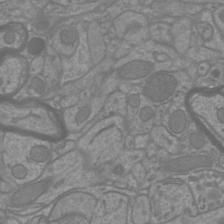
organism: Mouse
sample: Cortical neurons